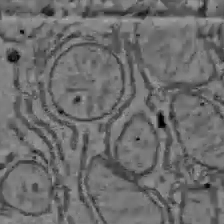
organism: C57BL Mouse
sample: Liver